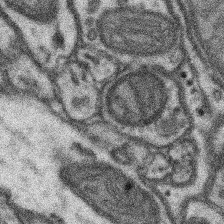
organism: Mouse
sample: Somatosensory cortex neuropil